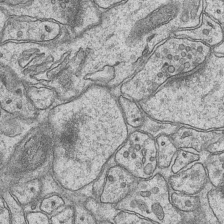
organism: Mouse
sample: CA1 Hippocampus